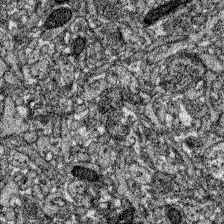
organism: Zebrafish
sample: Larval olfactory bulb